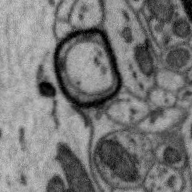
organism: Zebra finch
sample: Brain